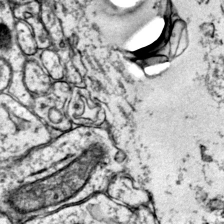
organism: Mouse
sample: Primary visual cortex